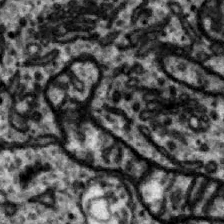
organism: Human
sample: HeLa cells